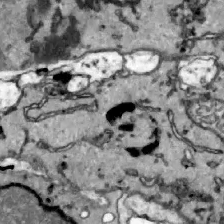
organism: Zebrafish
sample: Actinotrichia fibers